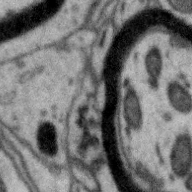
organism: Zebra finch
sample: Brain